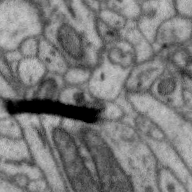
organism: Zebra finch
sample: Brain